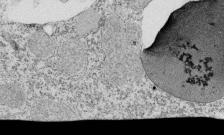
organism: Tetrahymena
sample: Cilia in tetrahymena